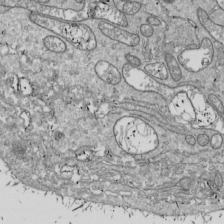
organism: Drosophila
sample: Cell division; meiosis; drosophila spermatocytes